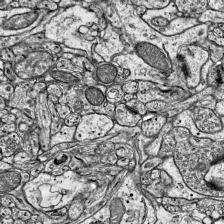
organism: Mouse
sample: Visual Cortex